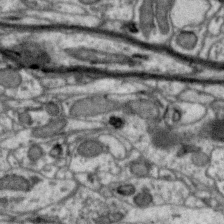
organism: Zebra finch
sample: Brain